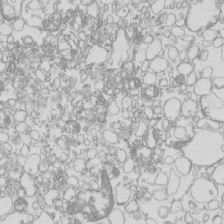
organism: Mouse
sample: Macrophages